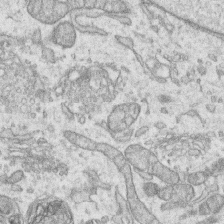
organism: Human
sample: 1205lu cells